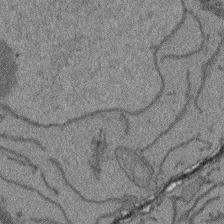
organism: Arabidopsis thaliana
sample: Root tip